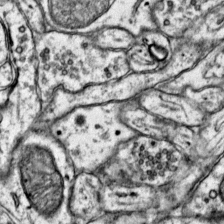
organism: Mouse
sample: Primary visual cortex